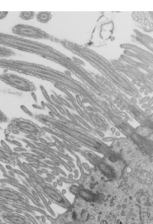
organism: Mouse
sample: Mouse epididymis efferent ductule cilia